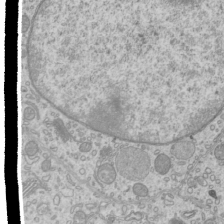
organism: Mouse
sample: Cilia; mouse epididymis